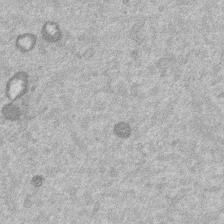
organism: Mouse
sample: Dividing mouse embryo 1 cell stage